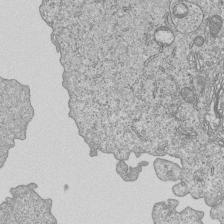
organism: Human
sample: MDA-MB-231 cells